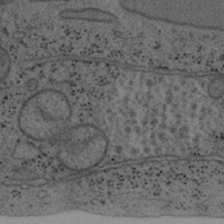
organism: Human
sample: HeLa cells